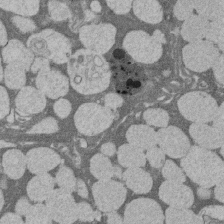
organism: Rat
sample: Salivary granule